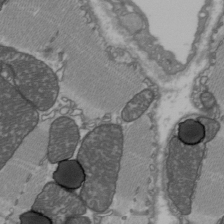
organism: C57BL Mouse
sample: Heart